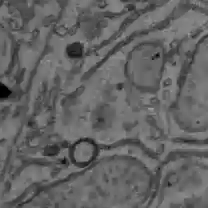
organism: C57BL Mouse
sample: Liver